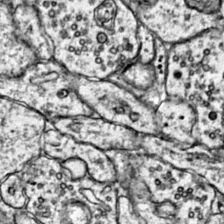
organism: Mouse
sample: Primary visual cortex